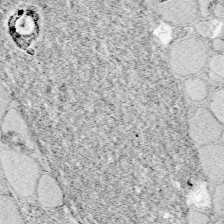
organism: Zebrafish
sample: Whole-Brain